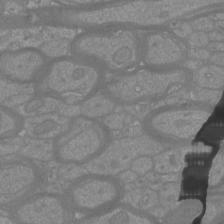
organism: Mouse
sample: Cortical neurons